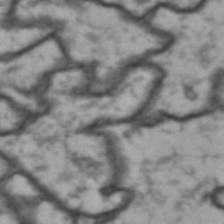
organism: Drosophila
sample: Brain